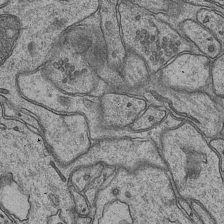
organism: Mouse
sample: CA1 Hippocampus